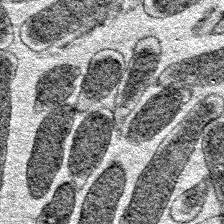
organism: E. coli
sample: E. Coli Bacteria